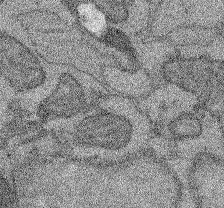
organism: Human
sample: HeLa cells